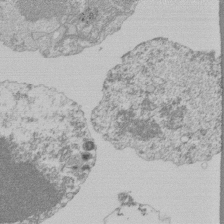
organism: Mouse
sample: Activated Pmel transgenic CD8+ T Cells